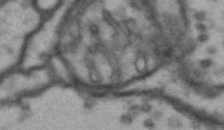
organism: Drosophila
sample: Brain